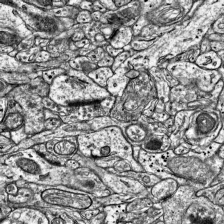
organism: Mouse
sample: Visual Cortex